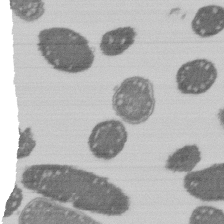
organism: E. coli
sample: Bacterial nucleoid